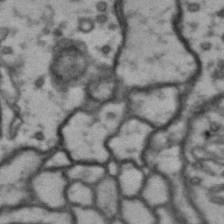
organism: Drosophila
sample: Brain